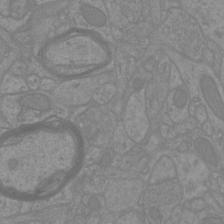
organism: Mouse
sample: Cortical neurons